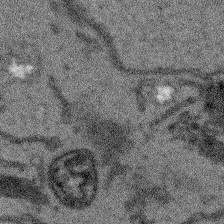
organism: Arabidopsis thaliana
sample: Root tip